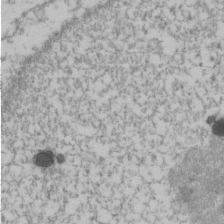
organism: Human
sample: U2-OS cells